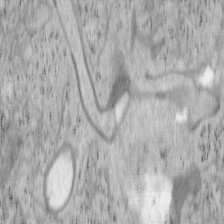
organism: Human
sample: HeLa cells